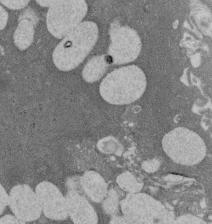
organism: Rat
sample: Salivary granule